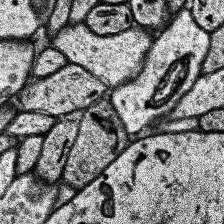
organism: Human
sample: Temporal Lobe